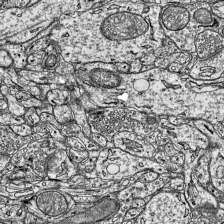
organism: Mouse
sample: Visual Cortex